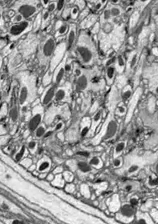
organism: Drosophila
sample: Optic lobe